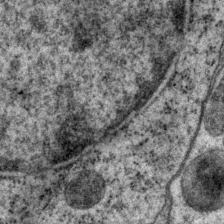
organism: P. pacificus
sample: Pharynx